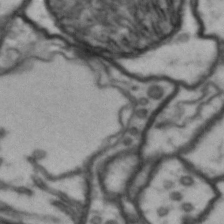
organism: Drosophila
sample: Brain